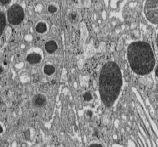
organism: C57BL Mouse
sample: Pancreatic islet